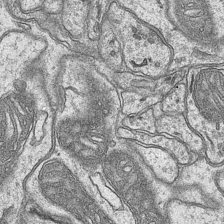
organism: Mouse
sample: CA1 Hippocampus